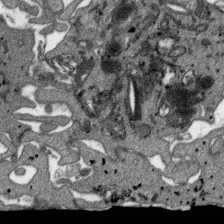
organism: Human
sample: Lung epithelial cells, uninfected (mock) control